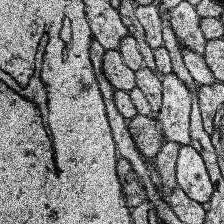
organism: Human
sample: Temporal Lobe